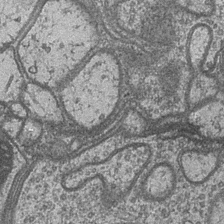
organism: Drosophila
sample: Optic medulla